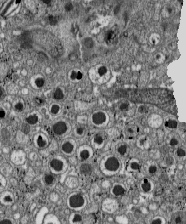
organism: C57BL Mouse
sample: Pancreatic islet